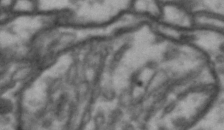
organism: Drosophila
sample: Brain